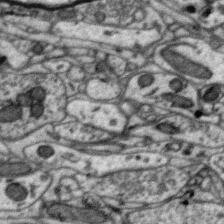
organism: Zebra finch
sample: Brain